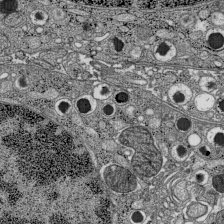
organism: C57BL Mouse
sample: Pancreatic islet